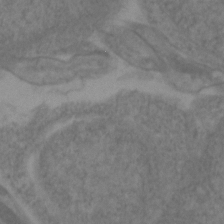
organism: Zebrafish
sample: Zebrafish embryo